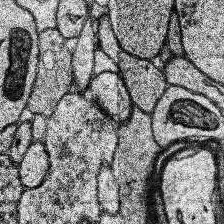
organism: Human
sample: Temporal Lobe